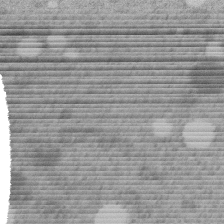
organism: C. elegans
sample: C. elegans embryo early stage